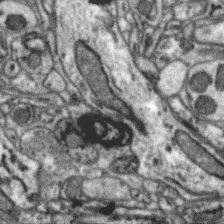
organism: Zebra finch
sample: Brain